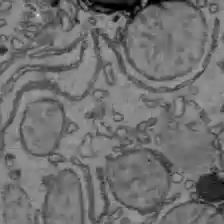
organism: C57BL Mouse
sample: Liver